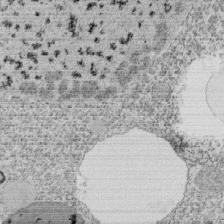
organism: Tetrahymena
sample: Cilia in tetrahymena